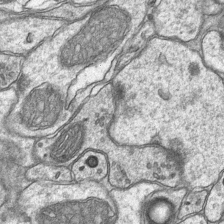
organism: Mouse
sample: CA1 Hippocampus